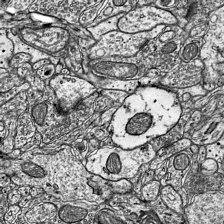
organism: Mouse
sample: Visual Cortex